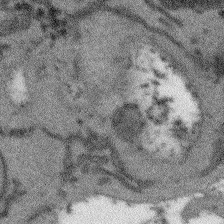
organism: Arabidopsis thaliana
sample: Root tip